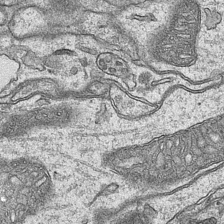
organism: Mouse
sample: CA1 Hippocampus